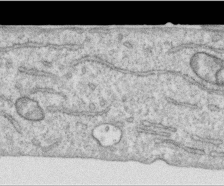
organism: Human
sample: Centriole in RPE cells